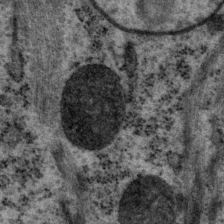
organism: P. pacificus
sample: Pharynx